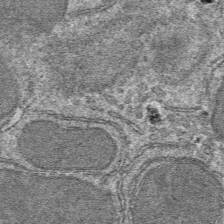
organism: Mouse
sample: Mouse hepatocytes